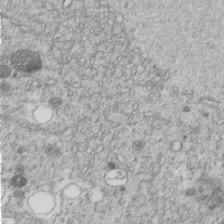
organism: C. elegans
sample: C. elegans embryo early stage